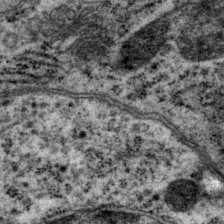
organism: P. pacificus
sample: Pharynx